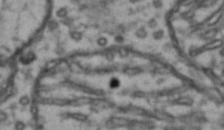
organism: Drosophila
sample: Brain